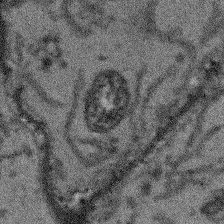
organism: Arabidopsis thaliana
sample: Root tip